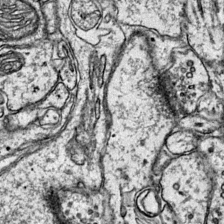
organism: Mouse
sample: Primary visual cortex